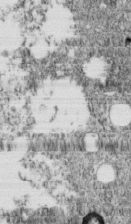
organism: C. elegans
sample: C. elegans embryo early stage